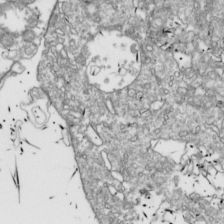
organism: Drosophila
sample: Cell division; meiosis; drosophila spermatocytes